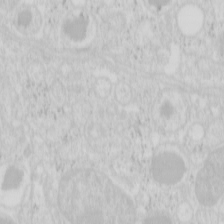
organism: Mouse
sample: Pancreas